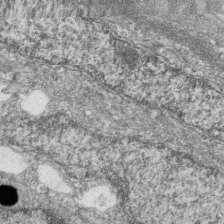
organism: Zebrafish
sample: Cilia; retinal pigment epithelium